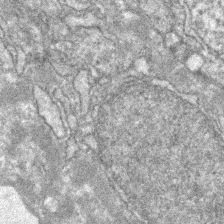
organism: Zebrafish